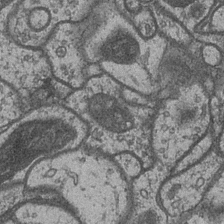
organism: Drosophila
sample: Optic medulla